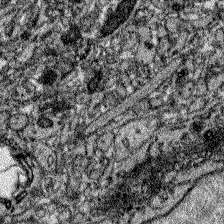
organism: Zebrafish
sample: Larval olfactory bulb